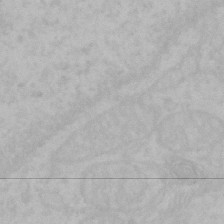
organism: Mouse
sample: Choroid plexus